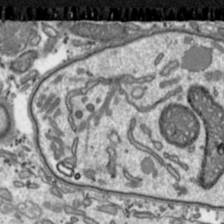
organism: Toxoplasma gondii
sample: Parasites in a vacuole inside a host cell